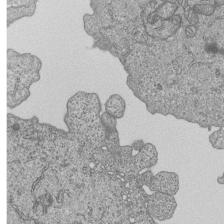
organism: Human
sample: MDA-MB-231 cells